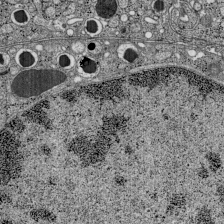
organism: C57BL Mouse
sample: Pancreatic islet